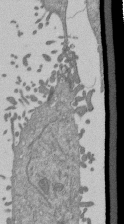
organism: Mouse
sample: ED-1 cell nuclei; centrioles